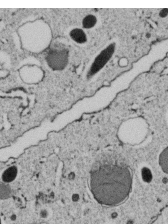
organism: C. elegans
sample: C. elegans embryo early stage